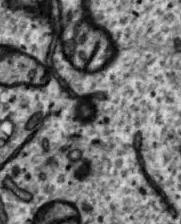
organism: Human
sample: HeLa cells